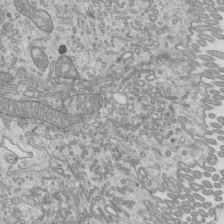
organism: Mouse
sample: Cilia; mouse epididymis